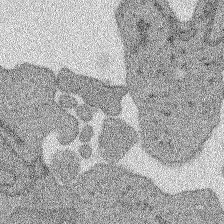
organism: Human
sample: HeLa cells